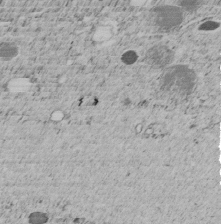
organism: C. elegans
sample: C. elegans embryo early stage